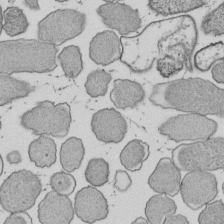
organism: E. coli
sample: Bacterial nucleoid